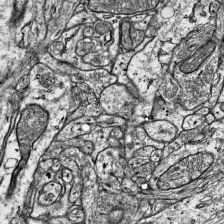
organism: Mouse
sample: Visual Cortex